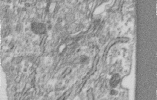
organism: Human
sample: Centriole in RPE cells